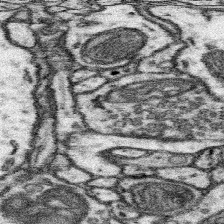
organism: Mouse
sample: Somatosensory cortex neuropil